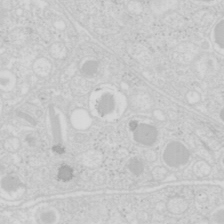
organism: Mouse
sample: Pancreas